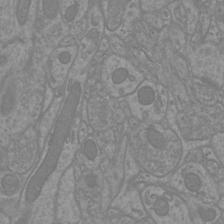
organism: Mouse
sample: Cortical neurons